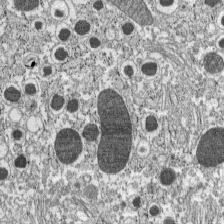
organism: C57BL Mouse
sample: Pancreatic islet